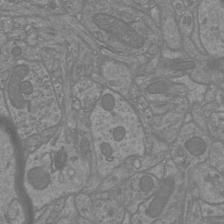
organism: Mouse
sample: Cortical neurons